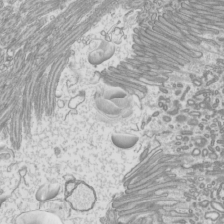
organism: Mouse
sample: Cilia; mouse epididymis